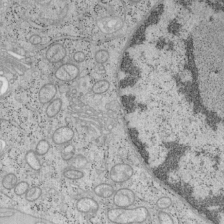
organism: Mouse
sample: OT-I killer T cells with ID8 ovarian cancer cells